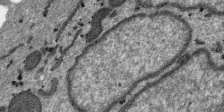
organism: Human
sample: Lung epithelial cells, uninfected (mock) control